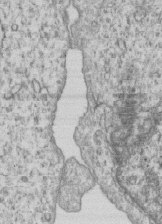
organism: Human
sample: MDA-MB-231 cells